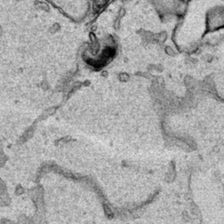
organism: Human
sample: Mitochondria in HCT116 cells